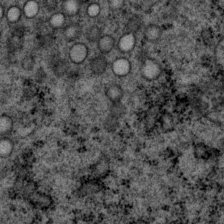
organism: P. pacificus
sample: Pharynx